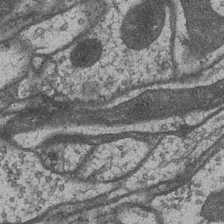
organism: Drosophila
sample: Optic medulla